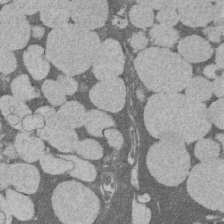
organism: Rat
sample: Salivary granule